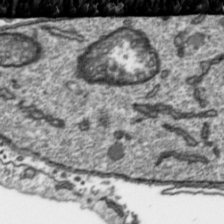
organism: Toxoplasma gondii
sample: Parasites in a vacuole inside a host cell